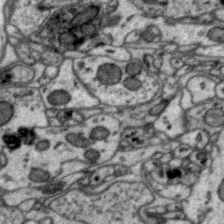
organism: Zebra finch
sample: Brain